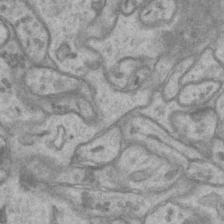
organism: Mouse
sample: CA1 Hippocampus